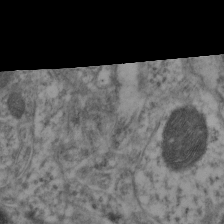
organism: Mouse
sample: Neocortex